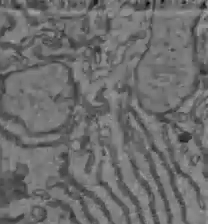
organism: C57BL Mouse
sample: Liver